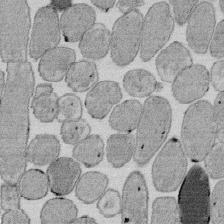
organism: E. coli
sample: Bacterial nucleoid